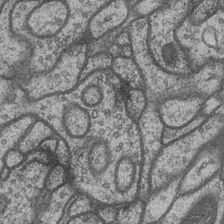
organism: Drosophila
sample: Optic medulla